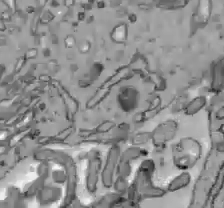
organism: C57BL Mouse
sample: Liver